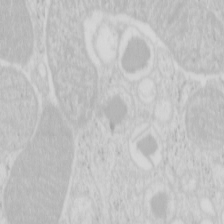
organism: Mouse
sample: Pancreas